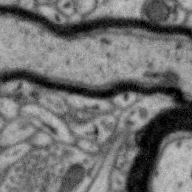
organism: Zebra finch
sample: Brain